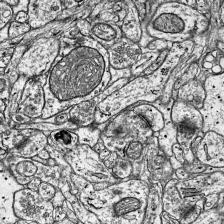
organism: Mouse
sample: Visual Cortex